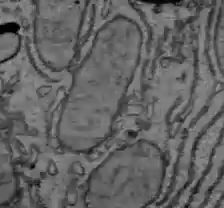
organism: C57BL Mouse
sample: Liver